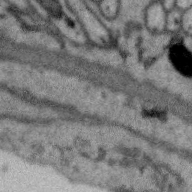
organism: Zebra finch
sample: Brain